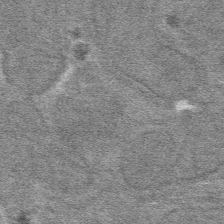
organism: Mouse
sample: Mouse hepatocytes